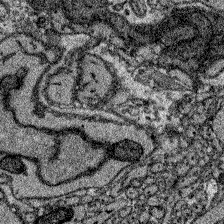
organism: Zebrafish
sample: Larval olfactory bulb